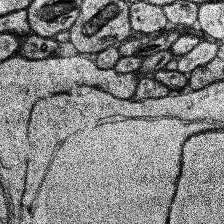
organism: Human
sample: Temporal Lobe